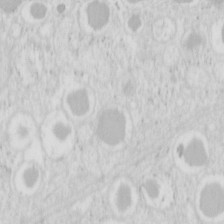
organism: Mouse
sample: Pancreas